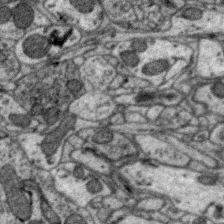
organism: Zebra finch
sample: Brain